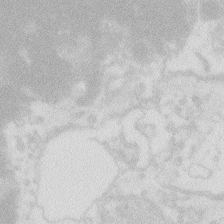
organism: Zebrafish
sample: Macrophage